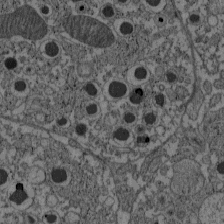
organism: C57BL Mouse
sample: Pancreatic islet